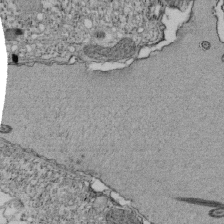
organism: Tetrahymena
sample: Cilia in tetrahymena